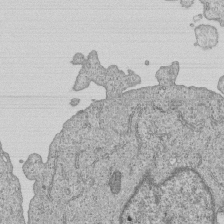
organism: Human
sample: MDA-MB-231 cells